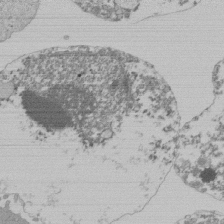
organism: Mouse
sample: Activated Pmel transgenic CD8+ T Cells